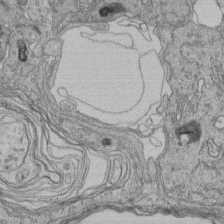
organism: Human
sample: Retinal organoid Rod and Cone cells